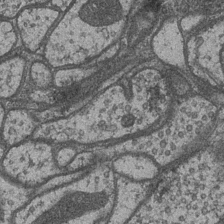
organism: Drosophila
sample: Optic medulla